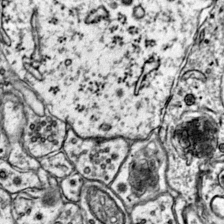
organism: Mouse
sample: Primary visual cortex